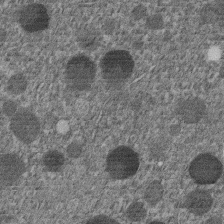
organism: C. elegans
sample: C. elegans embryo early stage